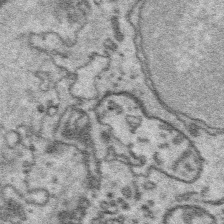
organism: Platynereis dumerilii